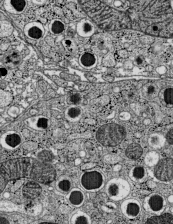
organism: C57BL Mouse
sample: Pancreatic islet